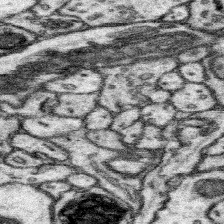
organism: Mouse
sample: Somatosensory cortex neuropil